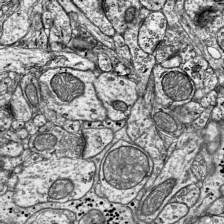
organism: Mouse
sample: Visual Cortex